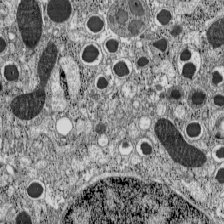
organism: C57BL Mouse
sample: Pancreatic islet